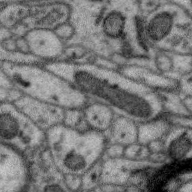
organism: Zebra finch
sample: Brain